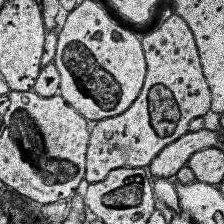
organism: Human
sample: Temporal Lobe